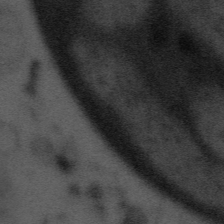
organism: Tuwongella immobilis